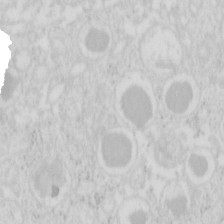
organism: Mouse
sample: Pancreas